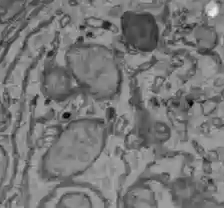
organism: C57BL Mouse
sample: Liver